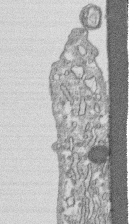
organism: Human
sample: CRL-1474